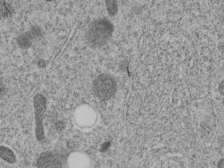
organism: C. elegans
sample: C. elegans embryo early stage